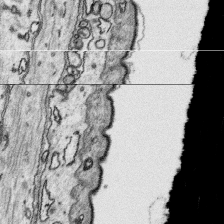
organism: Platynereis dumerilii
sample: Parapodia